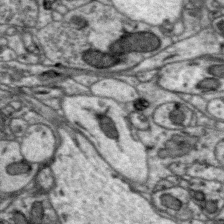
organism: Zebra finch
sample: Brain